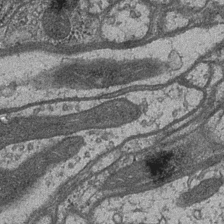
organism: Drosophila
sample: Optic medulla